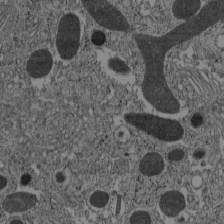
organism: C57BL Mouse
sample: Pancreatic islet